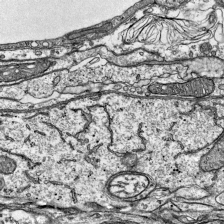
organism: Mouse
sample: Visual Cortex